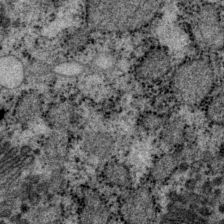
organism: P. pacificus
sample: Pharynx